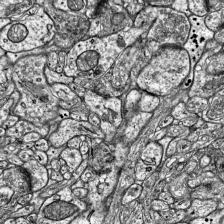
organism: Mouse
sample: Visual Cortex